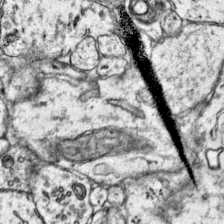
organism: Mouse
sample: Primary visual cortex